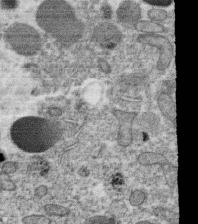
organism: C. elegans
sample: C. elegans oocyte; sperm cells